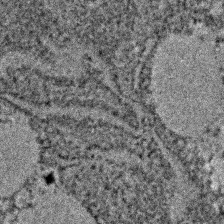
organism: C. elegans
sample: C. elegans embryo